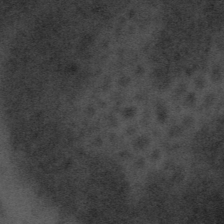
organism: Tuwongella immobilis